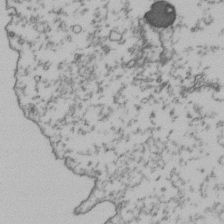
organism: Human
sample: Activated Jurkat CD4+ T cells